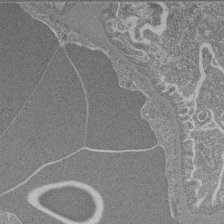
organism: Mouse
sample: Glomerulus